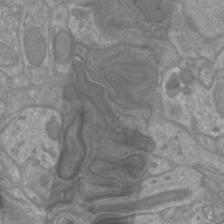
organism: Mouse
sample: Cortical neurons